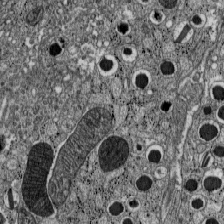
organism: C57BL Mouse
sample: Pancreatic islet